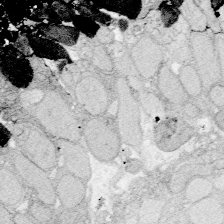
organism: Zebrafish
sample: Whole-Brain